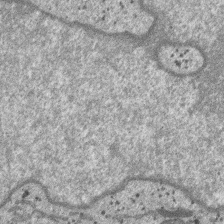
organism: Human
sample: Lung epithelial cells infected with SARS-CoV-2